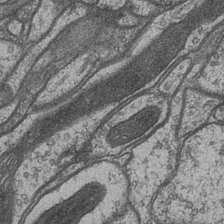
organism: Drosophila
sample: Optic medulla